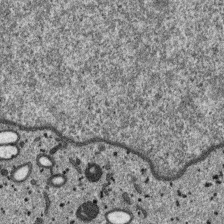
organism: Human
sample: Lung epithelial cells infected with SARS-CoV-2